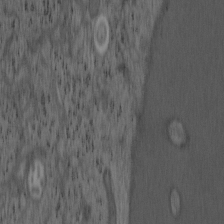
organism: Human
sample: HeLa cells